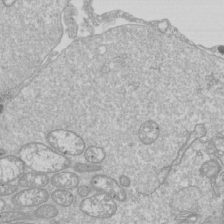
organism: Drosophila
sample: Cell division; meiosis; drosophila spermatocytes